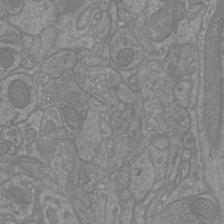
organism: Mouse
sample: Cortical neurons